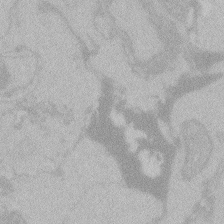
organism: Zebrafish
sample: Macrophage infected with Toxoplasma gondii